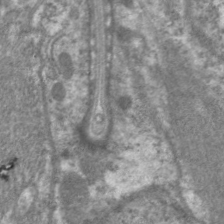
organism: C. elegans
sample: Pharynx